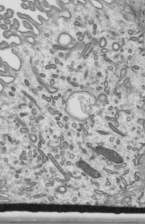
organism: Mouse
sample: Mouse epididymis efferent ductule cilia